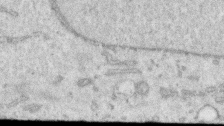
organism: Human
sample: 1205lu cells